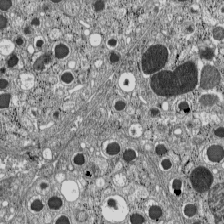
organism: C57BL Mouse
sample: Pancreatic islet